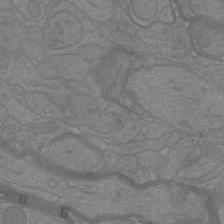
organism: Mouse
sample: Cortical neurons